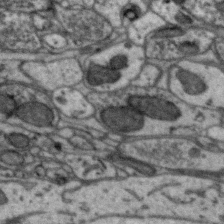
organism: Zebra finch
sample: Brain